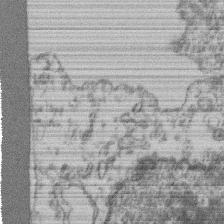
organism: Mouse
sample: T cell stromal cell synapse